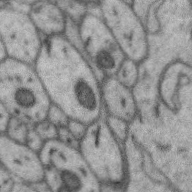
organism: Zebra finch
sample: Brain